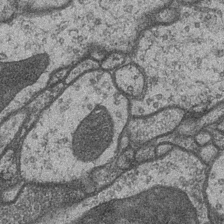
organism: Drosophila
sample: Optic medulla